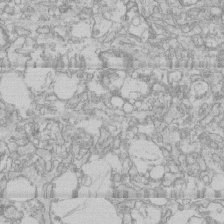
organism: Human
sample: CRL-1474